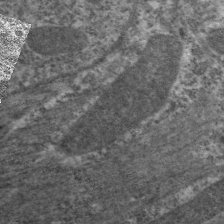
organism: C. elegans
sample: Pharynx